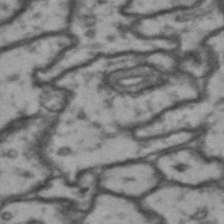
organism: Drosophila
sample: Brain